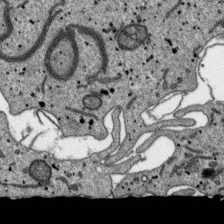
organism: Human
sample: Lung epithelial cells, uninfected (mock) control